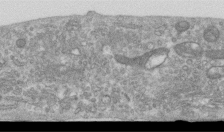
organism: Human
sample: Centriole in RPE cells